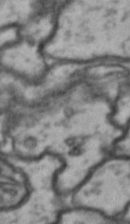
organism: Drosophila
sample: Brain